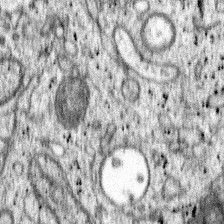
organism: Human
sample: HeLa cells